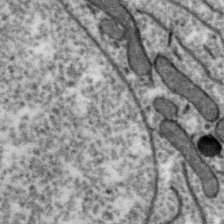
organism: Zebra finch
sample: Brain